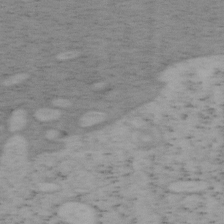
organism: Mouse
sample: OT-I killer T cells with ID8 ovarian cancer cells